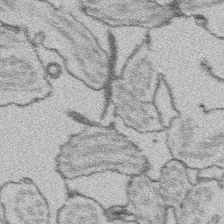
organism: Platynereis dumerilii